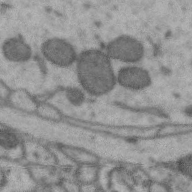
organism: Zebra finch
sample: Brain